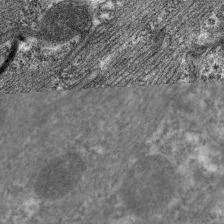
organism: C. elegans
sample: Pharynx